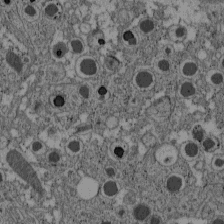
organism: C57BL Mouse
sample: Pancreatic islet